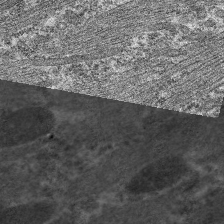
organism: C. elegans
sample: Pharynx